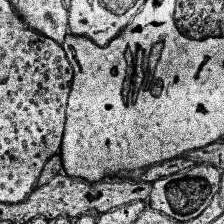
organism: Human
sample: Temporal Lobe